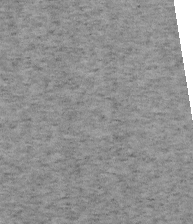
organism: Mouse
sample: OT-I killer T cells with ID8 ovarian cancer cells